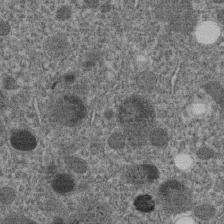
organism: C. elegans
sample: C. elegans embryo early stage